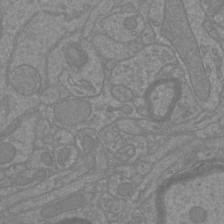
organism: Mouse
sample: Cortical neurons